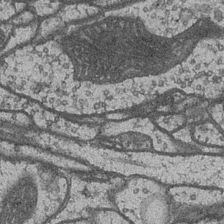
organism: Drosophila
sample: Optic medulla